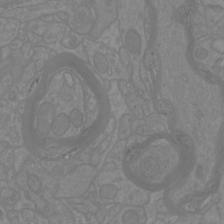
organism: Mouse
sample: Cortical neurons